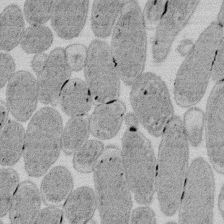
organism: E. coli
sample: Bacterial nucleoid